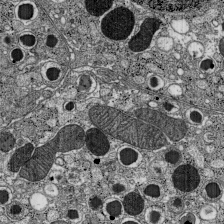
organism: C57BL Mouse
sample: Pancreatic islet